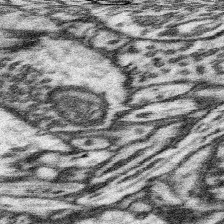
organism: Mouse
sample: Somatosensory cortex neuropil